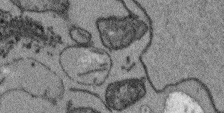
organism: Arabidopsis thaliana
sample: Root tip